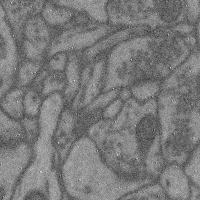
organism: Mouse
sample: Cerebral cortex